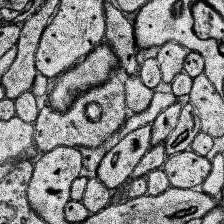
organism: Human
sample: Temporal Lobe